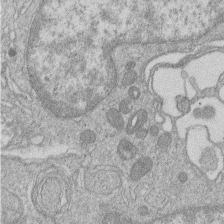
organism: Human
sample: Macrophage cells